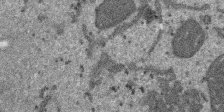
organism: Human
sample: Lung epithelial cells infected with SARS-CoV-2